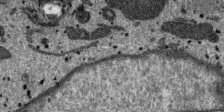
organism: Human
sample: Lung epithelial cells, uninfected (mock) control